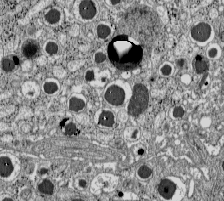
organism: C57BL Mouse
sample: Pancreatic islet